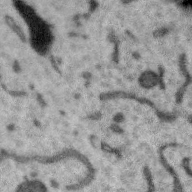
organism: Zebra finch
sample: Brain